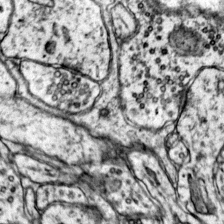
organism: Mouse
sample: Primary visual cortex